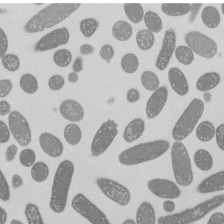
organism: E. coli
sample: Bacterial nucleoid